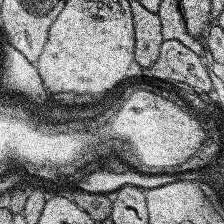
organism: Human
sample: Temporal Lobe